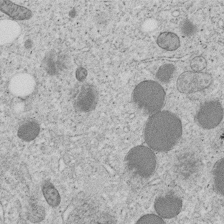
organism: C. elegans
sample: C. elegans embryo early stage